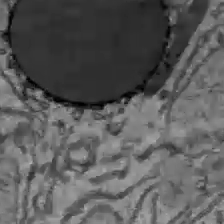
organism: C57BL Mouse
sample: Liver